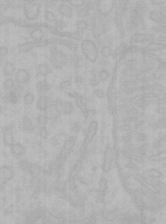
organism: Mouse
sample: Choroid plexus